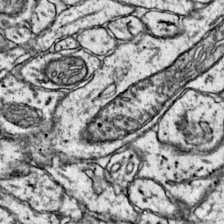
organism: Mouse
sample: Primary visual cortex